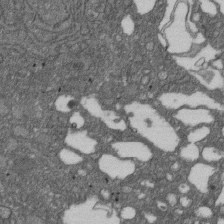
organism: Drosophila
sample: Nephrocyte